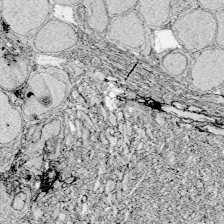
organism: Zebrafish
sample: Whole-Brain